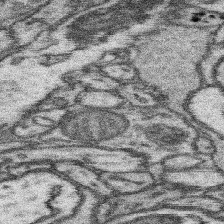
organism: Mouse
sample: Somatosensory cortex neuropil